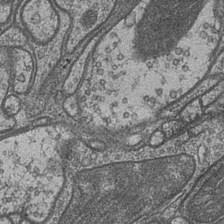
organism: Drosophila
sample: Optic medulla